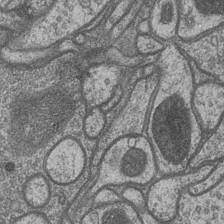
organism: Drosophila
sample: Optic medulla